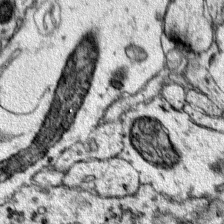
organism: Mouse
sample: Primary visual cortex